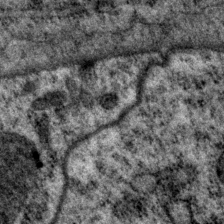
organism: P. pacificus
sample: Pharynx